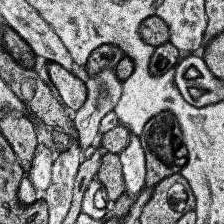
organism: Human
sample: Temporal Lobe